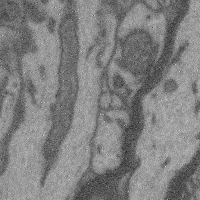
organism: Mouse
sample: Cerebral cortex